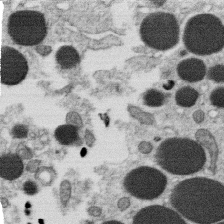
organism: C. elegans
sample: C. elegans oocyte; sperm cells